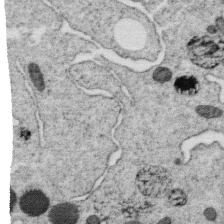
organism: C. elegans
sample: C. elegans oocyte; sperm cells